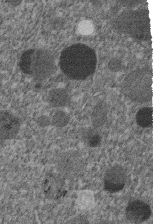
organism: C. elegans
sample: C. elegans embryo early stage